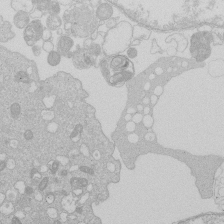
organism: Human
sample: Macrophage cells